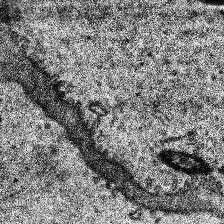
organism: Human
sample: Temporal Lobe